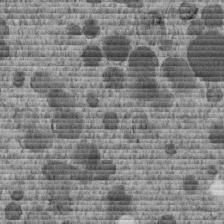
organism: C. elegans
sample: C. elegans embryo early stage